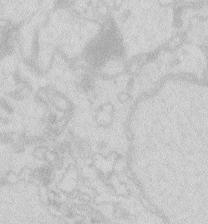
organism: Zebrafish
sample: Macrophage